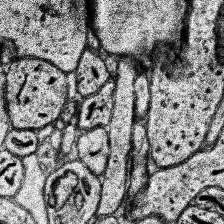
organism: Human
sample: Temporal Lobe